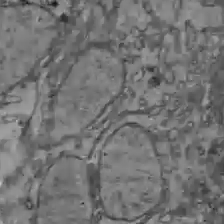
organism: C57BL Mouse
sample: Liver